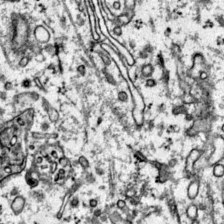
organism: Mouse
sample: Primary visual cortex